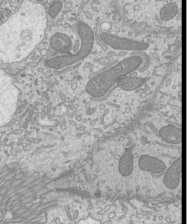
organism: Mouse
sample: Cilia; mouse epididymis